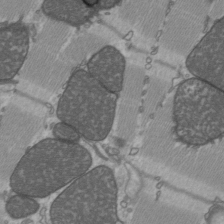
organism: C57BL Mouse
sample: Heart